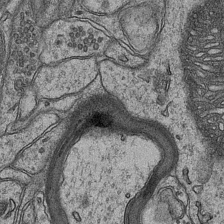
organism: Mouse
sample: CA1 Hippocampus